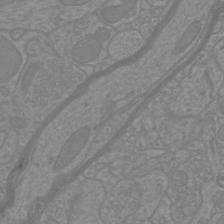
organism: Mouse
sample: Cortical neurons